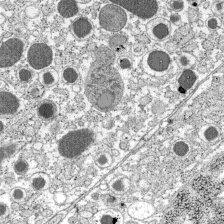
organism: C57BL Mouse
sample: Pancreatic islet